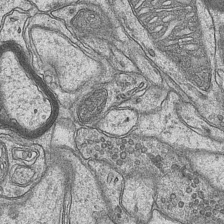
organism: Mouse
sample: CA1 Hippocampus